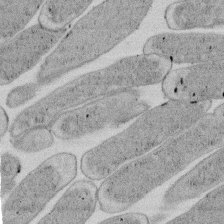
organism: E. coli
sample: Bacterial nucleoid